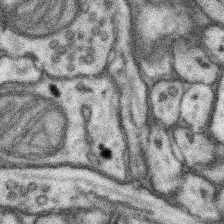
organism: Mouse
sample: Somatosensory cortex neuropil